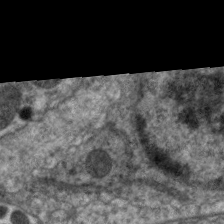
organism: C. elegans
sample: Pharynx